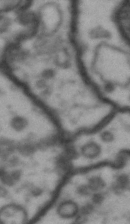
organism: Drosophila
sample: Brain